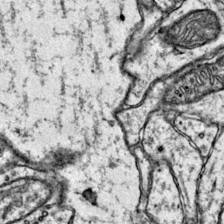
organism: Mouse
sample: Primary visual cortex